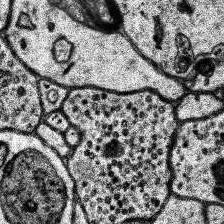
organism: Human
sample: Temporal Lobe